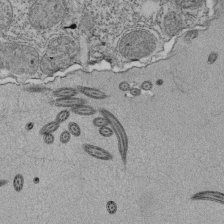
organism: Tetrahymena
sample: Cilia in tetrahymena